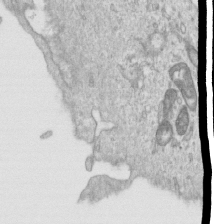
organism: Human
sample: Centriole in RPE cells